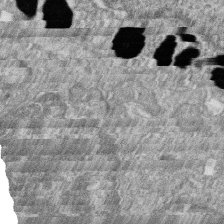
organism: Zebrafish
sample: Cilia; retinal pigment epithelium